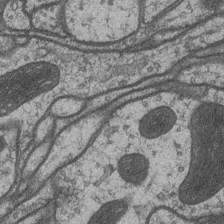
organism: Drosophila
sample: Optic medulla